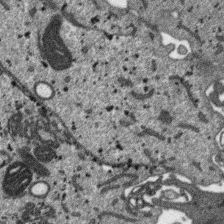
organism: Human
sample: Lung epithelial cells infected with SARS-CoV-2